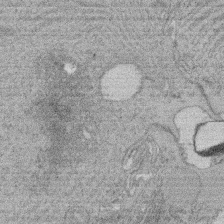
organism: Rat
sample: Salivary granule